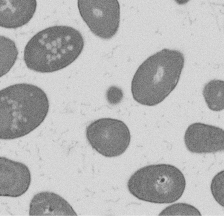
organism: B. subtilis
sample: Bacterial spore